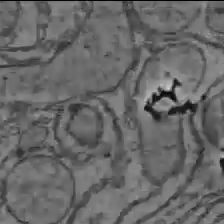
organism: C57BL Mouse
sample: Liver